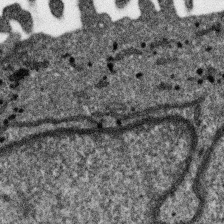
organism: Human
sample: Lung epithelial cells infected with SARS-CoV-2